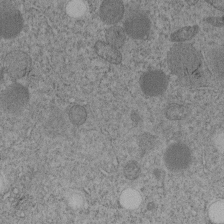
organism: C. elegans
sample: C. elegans embryo early stage